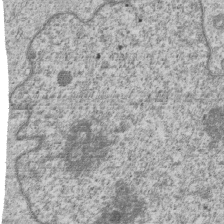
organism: Human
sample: MDA-MB-231 cells